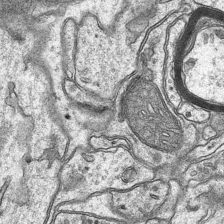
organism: Mouse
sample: CA1 Hippocampus